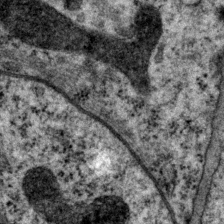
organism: P. pacificus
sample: Pharynx